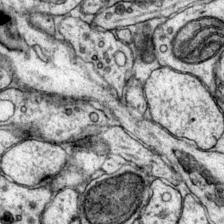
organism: Mouse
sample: Primary visual cortex